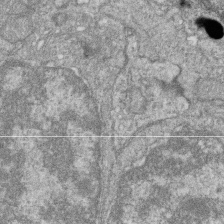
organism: Zebrafish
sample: Cilia; retinal pigment epithelium